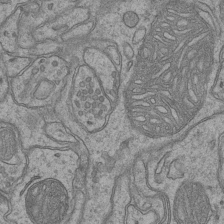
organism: Mouse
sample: CA1 Hippocampus